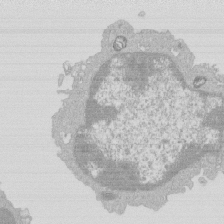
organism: Mouse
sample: Activated Pmel transgenic CD8+ T Cells